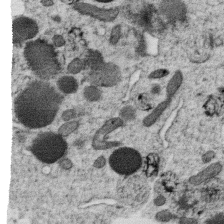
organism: C. elegans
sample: C. elegans oocyte; sperm cells